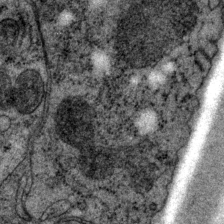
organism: P. pacificus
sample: Pharynx